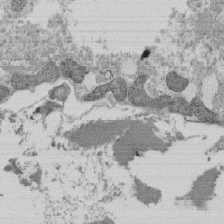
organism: Tetrahymena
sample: Cilia in tetrahymena